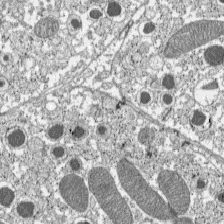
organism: C57BL Mouse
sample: Pancreatic islet